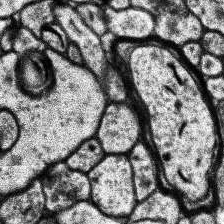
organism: Human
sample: Temporal Lobe